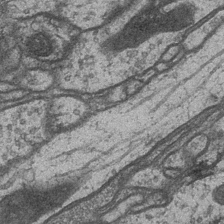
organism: Drosophila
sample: Optic medulla